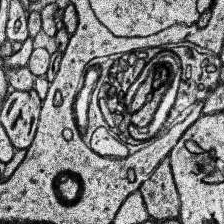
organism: Human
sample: Temporal Lobe